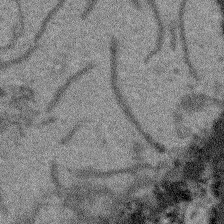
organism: Arabidopsis thaliana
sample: Root tip